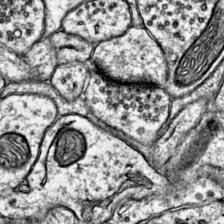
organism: Mouse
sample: Primary visual cortex